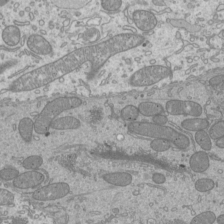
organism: Mouse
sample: Cilia; mouse epididymis